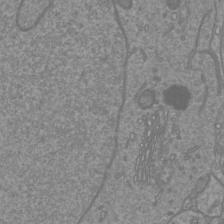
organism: Mouse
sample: Cortical neurons